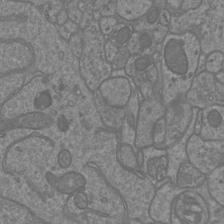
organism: Mouse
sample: Cortical neurons